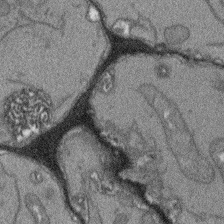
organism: Arabidopsis thaliana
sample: Root tip